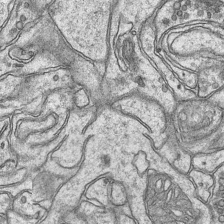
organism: Mouse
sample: CA1 Hippocampus